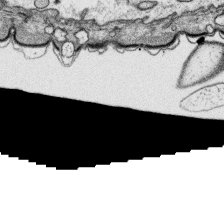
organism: Platynereis dumerilii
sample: Parapodia